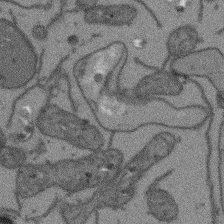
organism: Arabidopsis thaliana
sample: Root tip